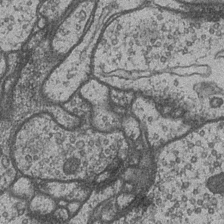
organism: Drosophila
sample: Optic medulla